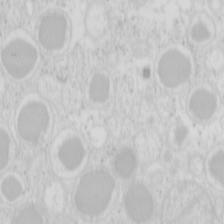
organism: Mouse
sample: Pancreas